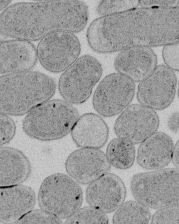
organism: E. coli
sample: Bacterial nucleoid